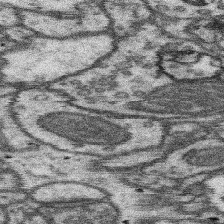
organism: Mouse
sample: Somatosensory cortex neuropil